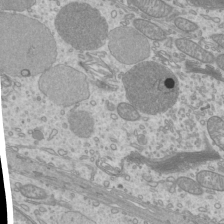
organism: Mouse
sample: Cilia; mouse epididymis